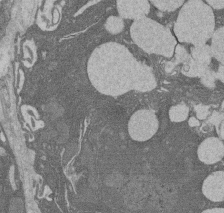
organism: Rat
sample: Salivary granule